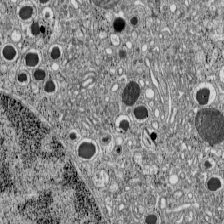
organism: C57BL Mouse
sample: Pancreatic islet